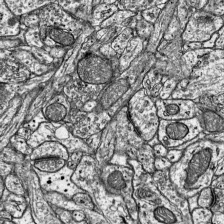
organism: Mouse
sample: Visual Cortex